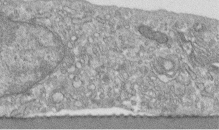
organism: Human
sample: Centriole in fibroblast cells